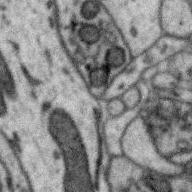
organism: Zebra finch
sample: Brain